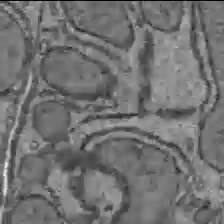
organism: C57BL Mouse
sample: Liver